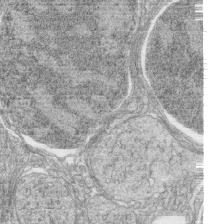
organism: Zebrafish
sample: synaptic ribbons in rod cells and cone cells